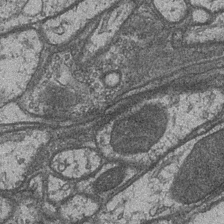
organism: Drosophila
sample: Optic medulla